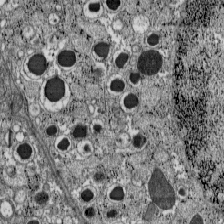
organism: C57BL Mouse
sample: Pancreatic islet